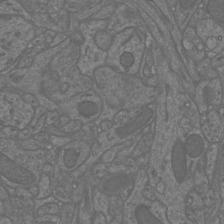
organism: Mouse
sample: Cortical neurons